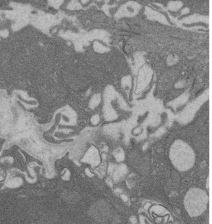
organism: Rat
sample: Salivary granule